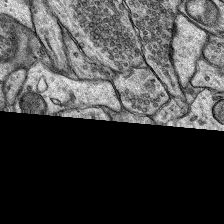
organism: Rat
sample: Hippocampus